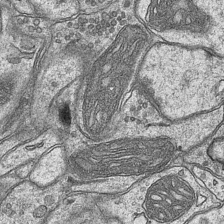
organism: Mouse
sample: CA1 Hippocampus